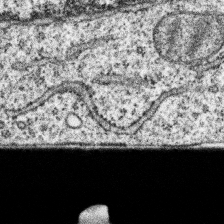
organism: Human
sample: HeLa cells